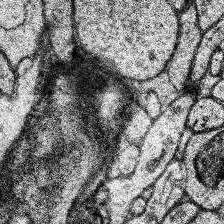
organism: Human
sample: Temporal Lobe